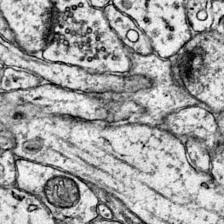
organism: Mouse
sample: Primary visual cortex